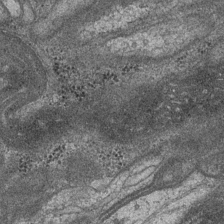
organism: Drosophila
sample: Optic medulla